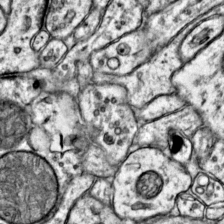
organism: Mouse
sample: Primary visual cortex